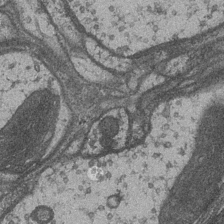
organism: Drosophila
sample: Optic medulla